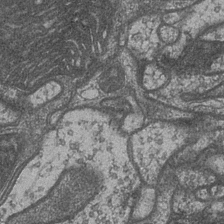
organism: Drosophila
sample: Optic medulla